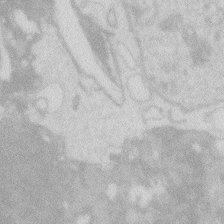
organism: Zebrafish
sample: Macrophage